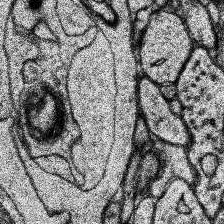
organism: Human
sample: Temporal Lobe